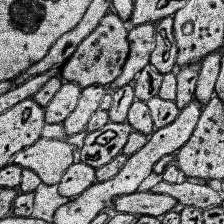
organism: Human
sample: Temporal Lobe